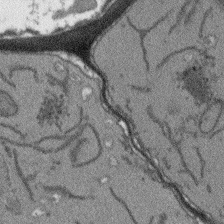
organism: Arabidopsis thaliana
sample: Root tip